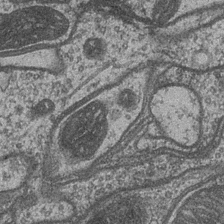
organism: Drosophila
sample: Optic medulla